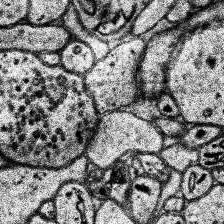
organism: Human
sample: Temporal Lobe